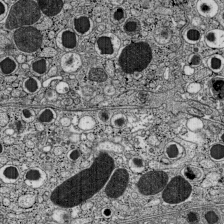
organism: C57BL Mouse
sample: Pancreatic islet